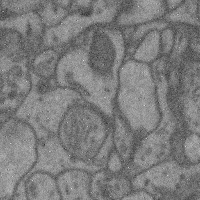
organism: Mouse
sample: Cerebral cortex